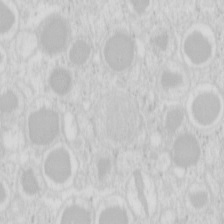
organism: Mouse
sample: Pancreas